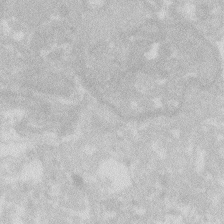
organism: Zebrafish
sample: Macrophage